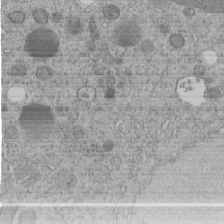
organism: C. elegans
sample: C. elegans embryo early stage